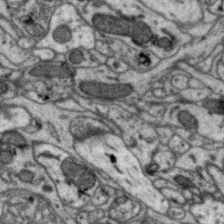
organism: Zebra finch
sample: Brain